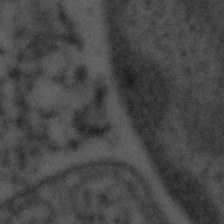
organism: Tuwongella immobilis